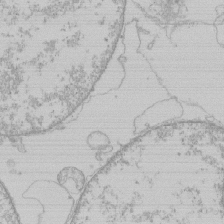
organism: Human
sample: Macrophage cells